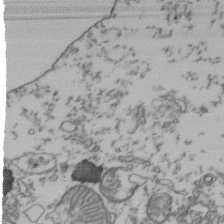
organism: Human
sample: Activated Jurkat CD4+ T cells